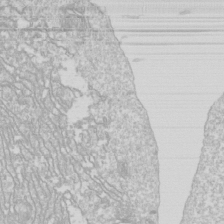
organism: Drosophila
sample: Cell division; meiosis; drosophila spermatocytes